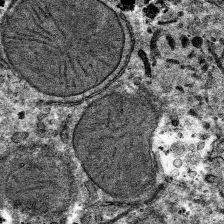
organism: Mouse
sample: Mouse hepatocytes